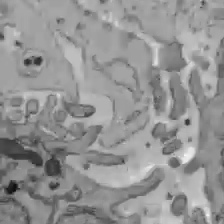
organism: C57BL Mouse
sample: Liver